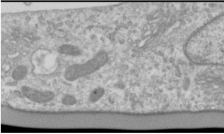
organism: Human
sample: Cilia; basal body in RPE cells